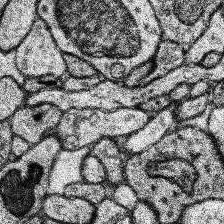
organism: Human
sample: Temporal Lobe